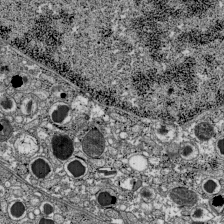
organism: C57BL Mouse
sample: Pancreatic islet